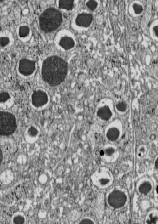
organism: C57BL Mouse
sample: Pancreatic islet